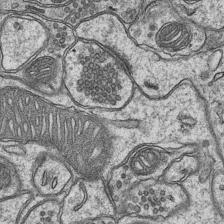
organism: Mouse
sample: CA1 Hippocampus